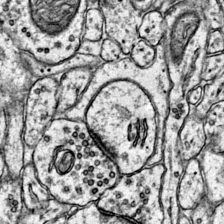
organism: Mouse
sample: Primary visual cortex